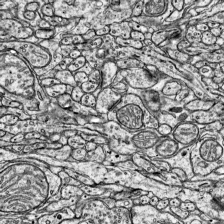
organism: Mouse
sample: Visual Cortex